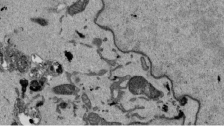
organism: Mouse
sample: ED-1 cell nuclei; centrioles